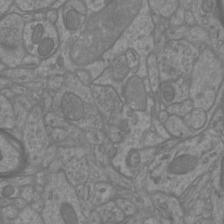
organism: Mouse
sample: Cortical neurons